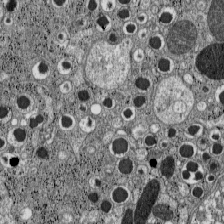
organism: C57BL Mouse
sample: Pancreatic islet